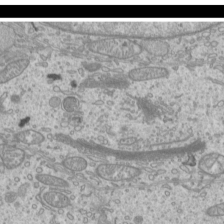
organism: Mouse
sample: Cilia; mouse epididymis